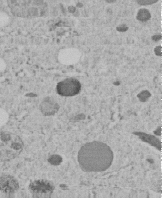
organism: C. elegans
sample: C. elegans embryo early stage